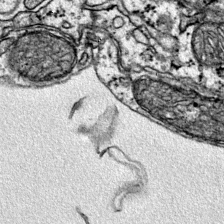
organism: Mouse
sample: Primary visual cortex